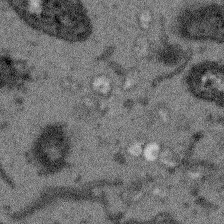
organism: Arabidopsis thaliana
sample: Root tip